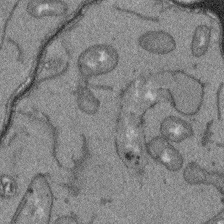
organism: Arabidopsis thaliana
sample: Root tip